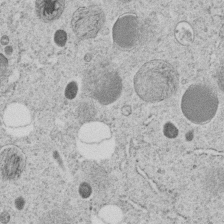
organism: C. elegans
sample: C. elegans embryo early stage